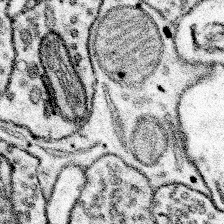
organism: Mouse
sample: Somatosensory cortex neuropil